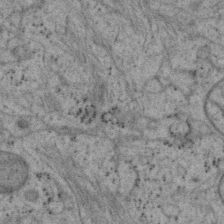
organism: Human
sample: HeLa cells